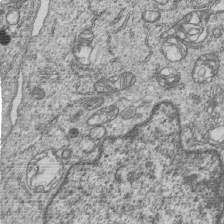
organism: Human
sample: MDA-MB-231 cells